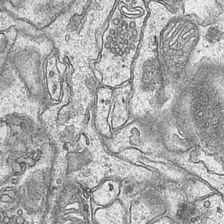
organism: Mouse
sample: CA1 Hippocampus